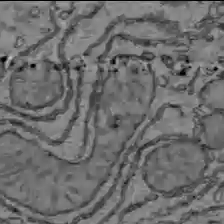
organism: C57BL Mouse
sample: Liver